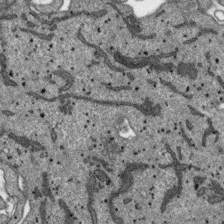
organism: Human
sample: Lung epithelial cells, uninfected (mock) control